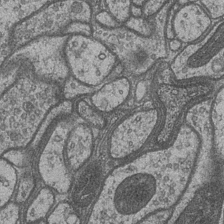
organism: Drosophila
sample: Optic medulla